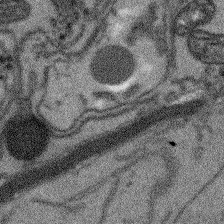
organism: Arabidopsis thaliana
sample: Root tip